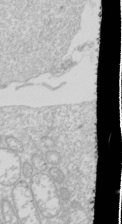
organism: Drosophila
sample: Cell division; meiosis; drosophila spermatocytes